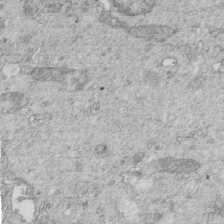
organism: Mouse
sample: Multiciliated cells